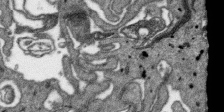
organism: Human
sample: Lung epithelial cells, uninfected (mock) control